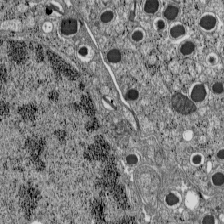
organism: C57BL Mouse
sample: Pancreatic islet